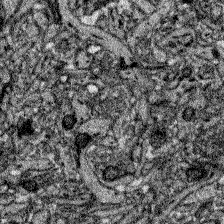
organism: Zebrafish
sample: Larval olfactory bulb